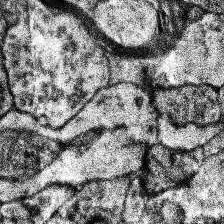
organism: Human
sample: Temporal Lobe